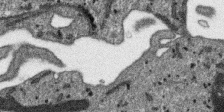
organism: Human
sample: Lung epithelial cells infected with SARS-CoV-2